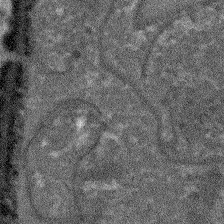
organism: Arabidopsis thaliana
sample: Root tip